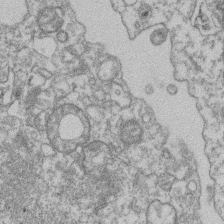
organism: Mouse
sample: T cell stromal cell synapse